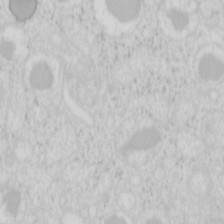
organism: Mouse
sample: Pancreas